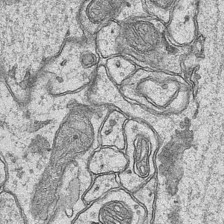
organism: Mouse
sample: CA1 Hippocampus